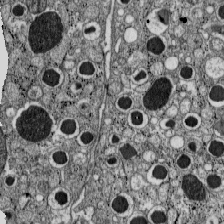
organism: C57BL Mouse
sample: Pancreatic islet